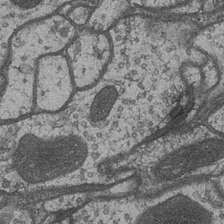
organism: Drosophila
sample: Optic medulla